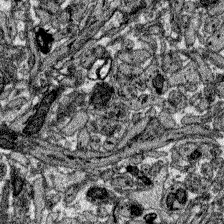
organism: Zebrafish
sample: Larval olfactory bulb